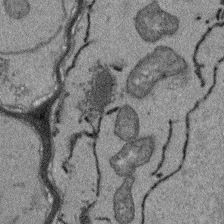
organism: Arabidopsis thaliana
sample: Root tip